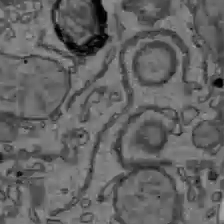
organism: C57BL Mouse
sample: Liver